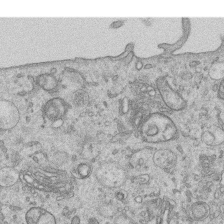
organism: Human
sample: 1205lu cells